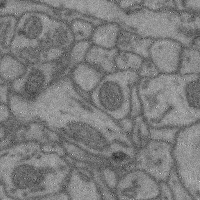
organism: Mouse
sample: Cerebral cortex